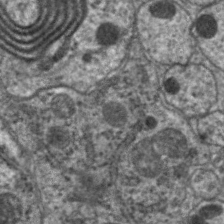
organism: C. elegans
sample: Pharynx